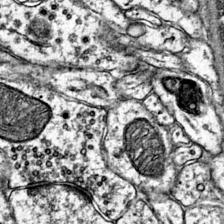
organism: Mouse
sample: Primary visual cortex